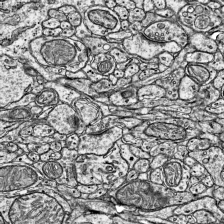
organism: Mouse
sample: Visual Cortex